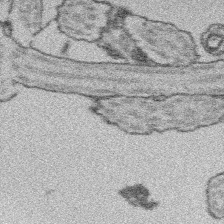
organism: Platynereis dumerilii